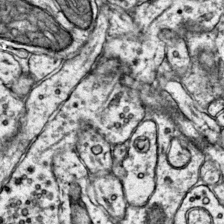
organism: Mouse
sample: Primary visual cortex